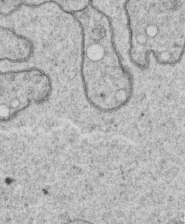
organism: C. elegans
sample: C. elegans oocyte; sperm cells